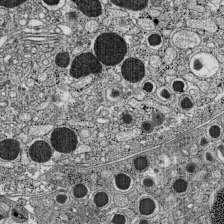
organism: C57BL Mouse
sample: Pancreatic islet